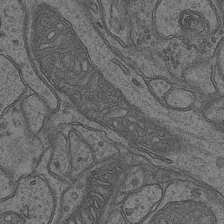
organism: Mouse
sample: CA1 Hippocampus